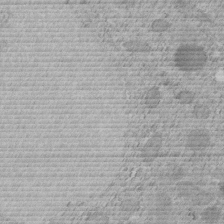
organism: C. elegans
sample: C. elegans embryo early stage